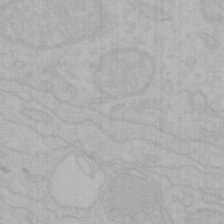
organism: Mouse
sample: Choroid plexus